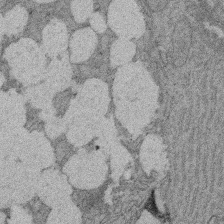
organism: Rat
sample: Salivary granule